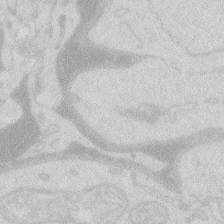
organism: Zebrafish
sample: Macrophage